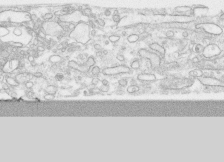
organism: Human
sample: CRL-1474